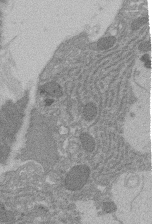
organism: Rat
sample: Salivary granule